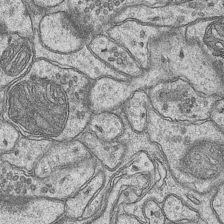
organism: Mouse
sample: CA1 Hippocampus